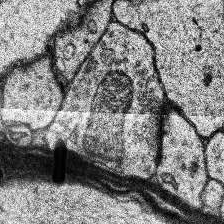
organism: Human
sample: Temporal Lobe